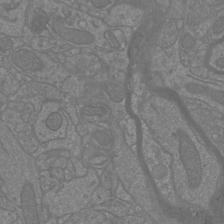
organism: Mouse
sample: Cortical neurons